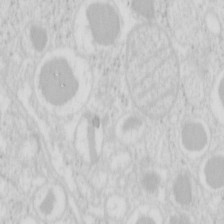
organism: Mouse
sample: Pancreas